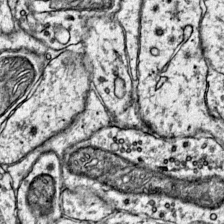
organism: Mouse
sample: Primary visual cortex